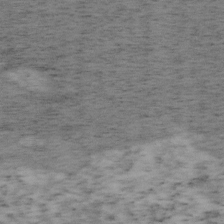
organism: Mouse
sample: OT-I killer T cells with ID8 ovarian cancer cells